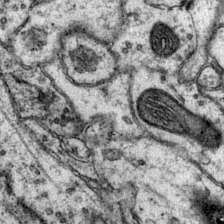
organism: Mouse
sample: Primary visual cortex